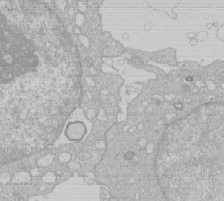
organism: Human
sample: Macrophage cells